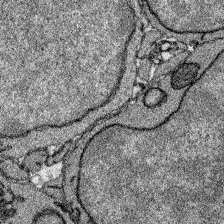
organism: Zebrafish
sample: Larval olfactory bulb